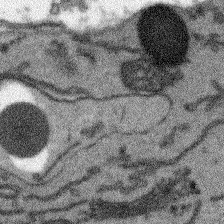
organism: Arabidopsis thaliana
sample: Root tip